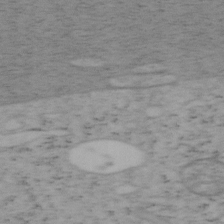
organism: Mouse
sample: OT-I killer T cells with ID8 ovarian cancer cells